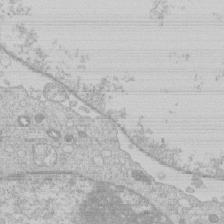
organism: Human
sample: Macrophage cells